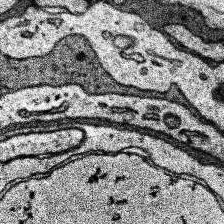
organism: Human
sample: Temporal Lobe